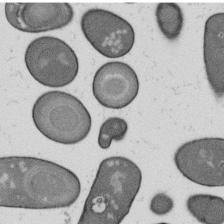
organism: B. subtilis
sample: Bacterial spore